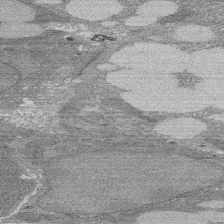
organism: Rat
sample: Salivary granule